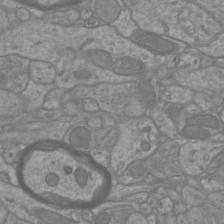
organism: Mouse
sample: Cortical neurons